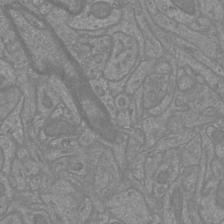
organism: Mouse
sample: Cortical neurons